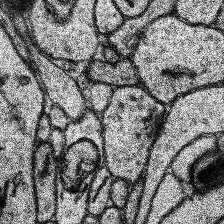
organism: Human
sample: Temporal Lobe